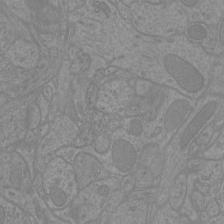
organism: Mouse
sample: Cortical neurons